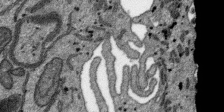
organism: Human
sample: Lung epithelial cells, uninfected (mock) control